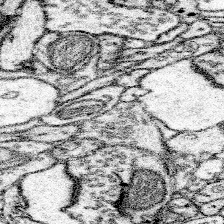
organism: Mouse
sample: Somatosensory cortex neuropil